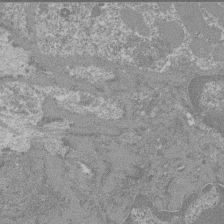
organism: Mouse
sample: Glomerulus